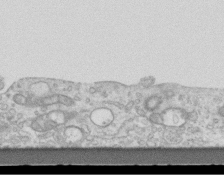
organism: Mouse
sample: Centriole in ependymal cells